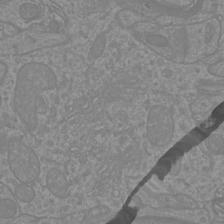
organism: Mouse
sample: Cortical neurons